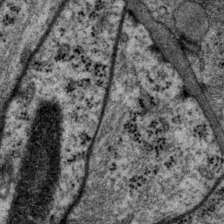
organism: P. pacificus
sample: Pharynx